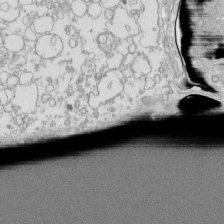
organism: Mouse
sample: Macrophages